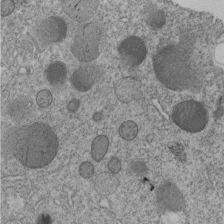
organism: C. elegans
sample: C. elegans embryo early stage